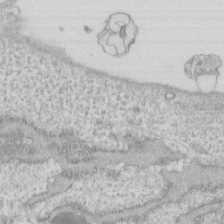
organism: Human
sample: Fibroblast cells